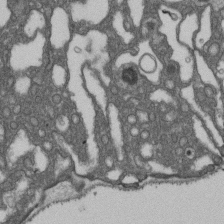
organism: Drosophila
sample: Nephrocyte